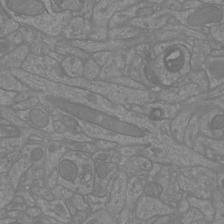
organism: Mouse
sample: Cortical neurons